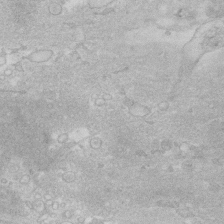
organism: Human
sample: Fibroblast cells